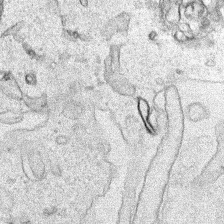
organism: Human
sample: Mitochondria in HCT116 cells